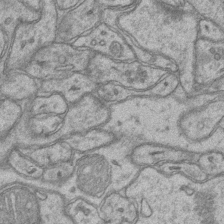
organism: Mouse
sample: CA1 Hippocampus